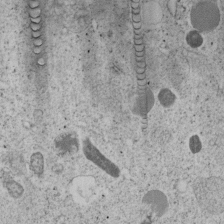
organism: C. elegans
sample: C. elegans embryo early stage